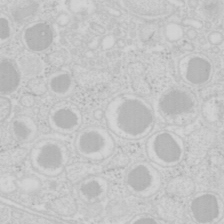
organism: Mouse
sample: Pancreas